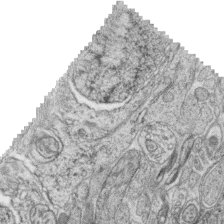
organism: Zebrafish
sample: synaptic ribbons in rod cells and cone cells